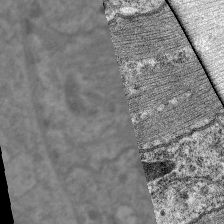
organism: C. elegans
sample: Pharynx